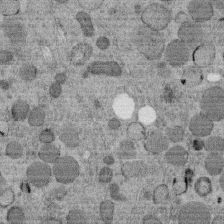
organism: C. elegans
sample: C. elegans embryo early stage